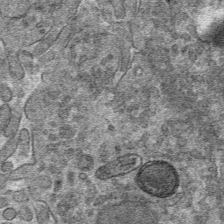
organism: Mouse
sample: Mouse hepatocytes